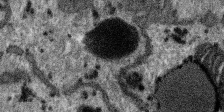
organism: Human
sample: Lung epithelial cells infected with SARS-CoV-2